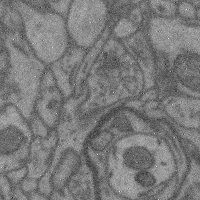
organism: Mouse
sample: Cerebral cortex